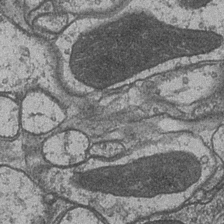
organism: Drosophila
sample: Optic medulla